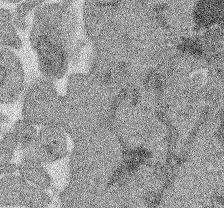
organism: Human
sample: HeLa cells